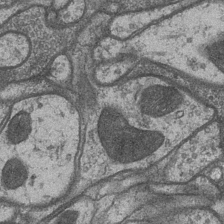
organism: Drosophila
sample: Optic medulla